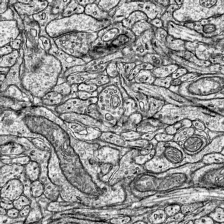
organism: Mouse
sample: Visual Cortex